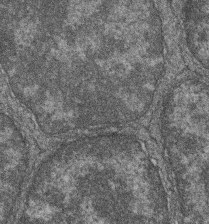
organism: Zebrafish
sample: Cilia; retinal pigment epithelium